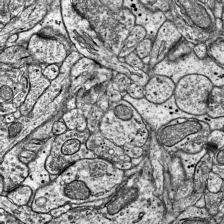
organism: Mouse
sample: Visual Cortex